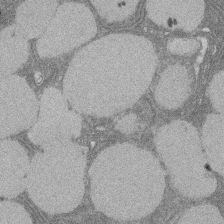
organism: Rat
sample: Salivary granule